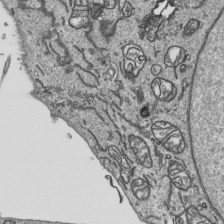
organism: Human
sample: Mitochondria in HCT116 cells